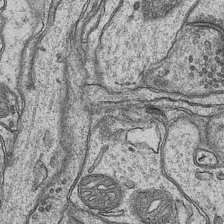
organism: Mouse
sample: CA1 Hippocampus